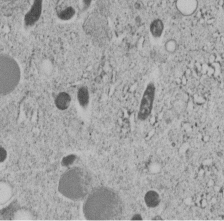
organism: C. elegans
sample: C. elegans embryo early stage